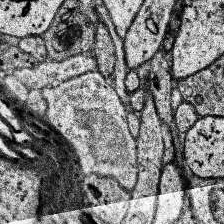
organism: Human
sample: Temporal Lobe